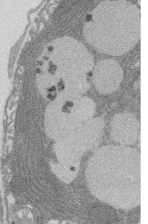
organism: Rat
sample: Salivary granule